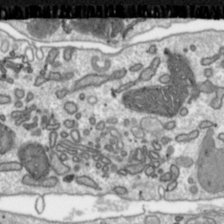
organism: Toxoplasma gondii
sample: Parasites in a vacuole inside a host cell